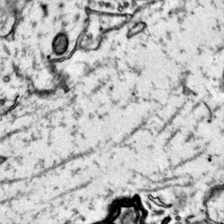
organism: Mouse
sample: Primary visual cortex